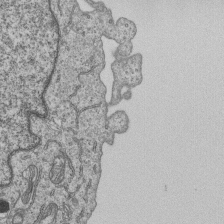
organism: Human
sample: MDA-MB-231 cells